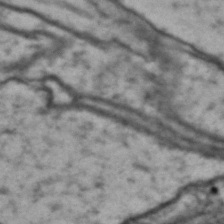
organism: Drosophila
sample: Brain